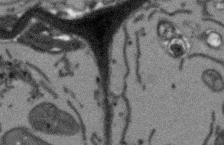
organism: Arabidopsis thaliana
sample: Root tip